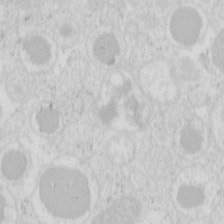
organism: Mouse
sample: Pancreas